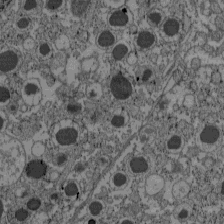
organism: C57BL Mouse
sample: Pancreatic islet